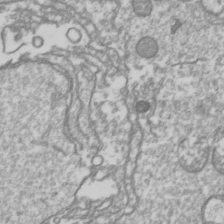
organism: Drosophila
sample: Cell division; meiosis; drosophila spermatocytes